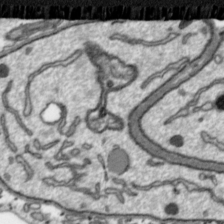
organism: Toxoplasma gondii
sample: Parasites in a vacuole inside a host cell